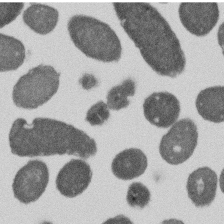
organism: E. coli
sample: Bacterial nucleoid